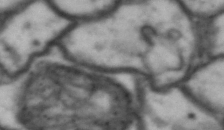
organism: Drosophila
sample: Brain